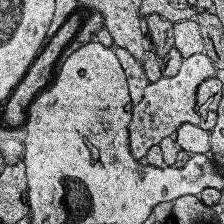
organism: Human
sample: Temporal Lobe